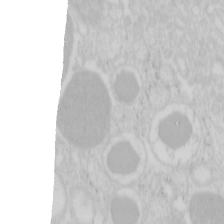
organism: Mouse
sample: Pancreas